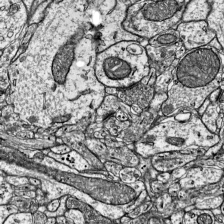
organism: Mouse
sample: Visual Cortex